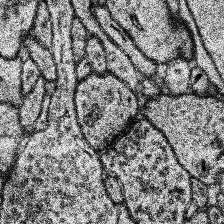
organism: Human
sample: Temporal Lobe